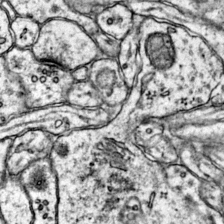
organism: Mouse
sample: Primary visual cortex